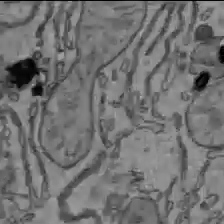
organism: C57BL Mouse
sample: Liver